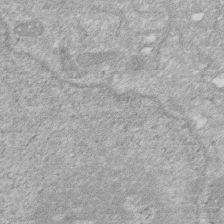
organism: Human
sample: HIV infected U937 cells